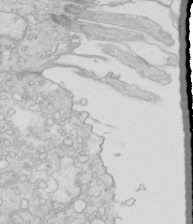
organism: Mouse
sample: Multiciliated cells